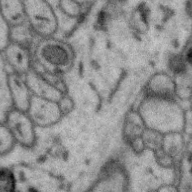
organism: Zebra finch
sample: Brain